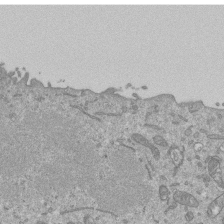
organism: Mouse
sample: ED-1 cell nuclei; centrioles